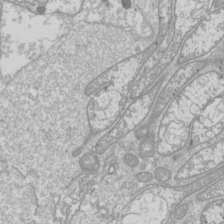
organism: Drosophila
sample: Cell division; meiosis; drosophila spermatocytes